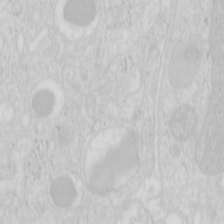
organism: Mouse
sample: Pancreas